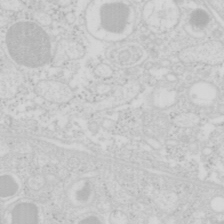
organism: Mouse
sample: Pancreas